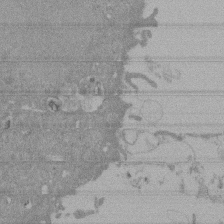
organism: Mouse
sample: ED-1 cell nuclei; centrioles